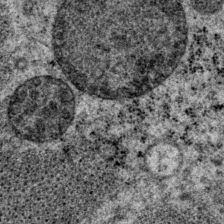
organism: P. pacificus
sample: Pharynx